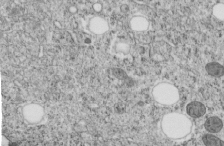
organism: C. elegans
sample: C. elegans embryo early stage